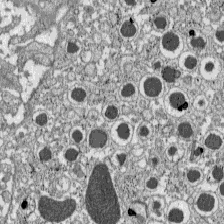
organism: C57BL Mouse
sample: Pancreatic islet